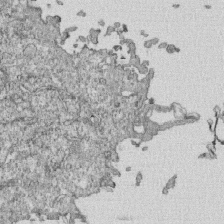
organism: Human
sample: HeLa cell HIV synapse